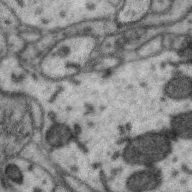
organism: Zebra finch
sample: Brain